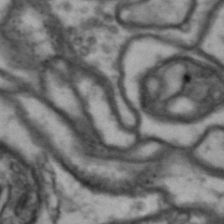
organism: Drosophila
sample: Brain